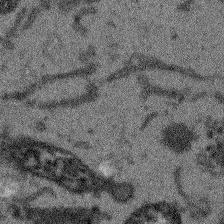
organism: Arabidopsis thaliana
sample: Root tip